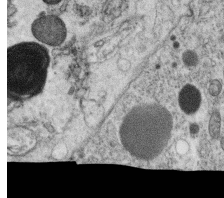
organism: C. elegans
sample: C. elegans oocyte; sperm cells